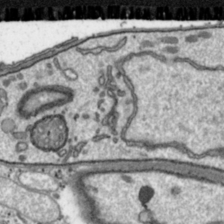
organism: Toxoplasma gondii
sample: Parasites in a vacuole inside a host cell